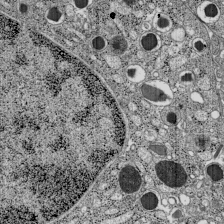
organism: C57BL Mouse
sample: Pancreatic islet